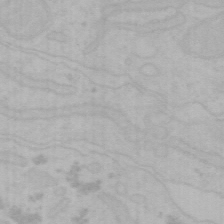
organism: Mouse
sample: Choroid plexus